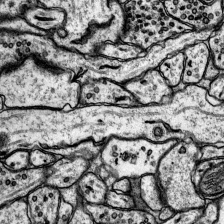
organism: Rat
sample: Hippocampus